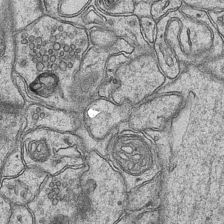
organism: Mouse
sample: CA1 Hippocampus